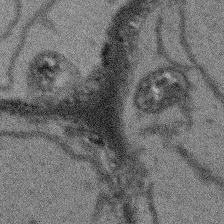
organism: Arabidopsis thaliana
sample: Root tip